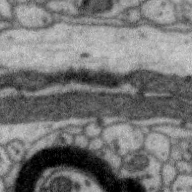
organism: Zebra finch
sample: Brain